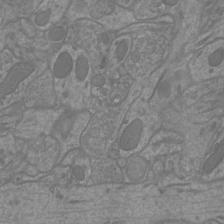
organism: Mouse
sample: Cortical neurons